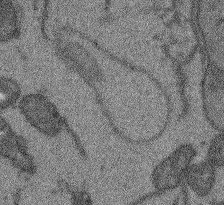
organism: Arabidopsis thaliana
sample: Root tip